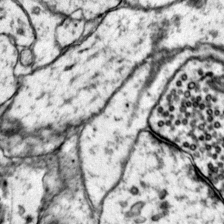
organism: Mouse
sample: Primary visual cortex